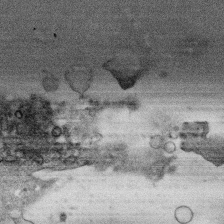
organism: Human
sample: CRL-1474